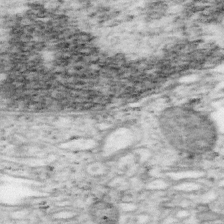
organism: Mouse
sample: OT-I killer T cells with ID8 ovarian cancer cells